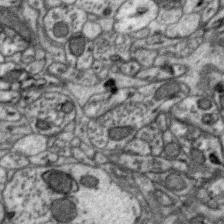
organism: Zebra finch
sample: Brain